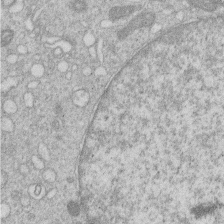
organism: Human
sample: Macrophage cells